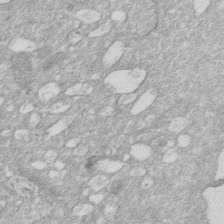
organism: Human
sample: HIV infected U937 cells